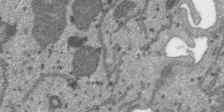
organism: Human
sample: Lung epithelial cells infected with SARS-CoV-2